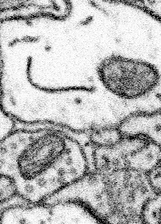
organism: Mouse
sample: Somatosensory cortex neuropil